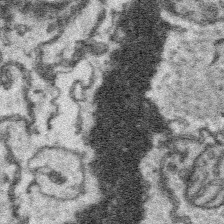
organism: Platynereis dumerilii